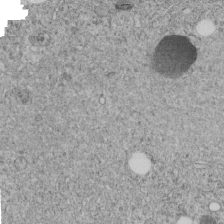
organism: C. elegans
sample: C. elegans embryo early stage